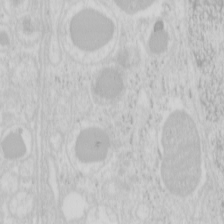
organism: Mouse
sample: Pancreas